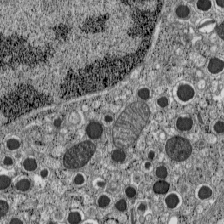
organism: C57BL Mouse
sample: Pancreatic islet